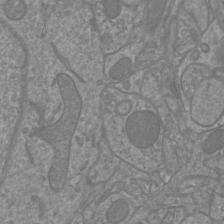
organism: Mouse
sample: Cortical neurons